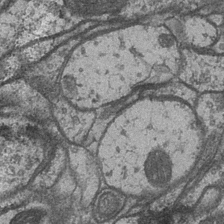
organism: Drosophila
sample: Optic medulla